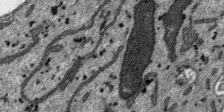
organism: Human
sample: Lung epithelial cells, uninfected (mock) control